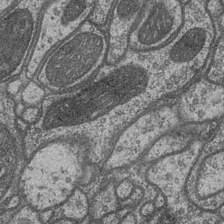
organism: Drosophila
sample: Optic medulla